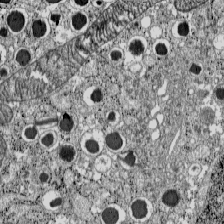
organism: C57BL Mouse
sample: Pancreatic islet